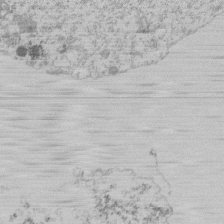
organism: Mouse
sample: Activated Pmel transgenic CD8+ T Cells